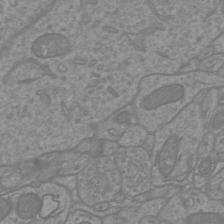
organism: Mouse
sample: Cortical neurons